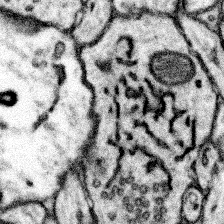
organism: Mouse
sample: Somatosensory cortex neuropil